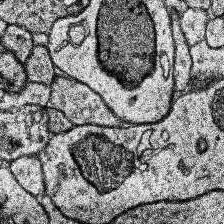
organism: Human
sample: Temporal Lobe